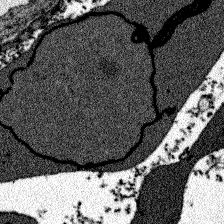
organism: Zebrafish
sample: Larval olfactory bulb